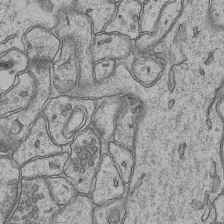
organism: Mouse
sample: CA1 Hippocampus